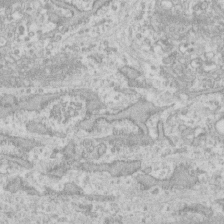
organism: Human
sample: Fibroblast cells